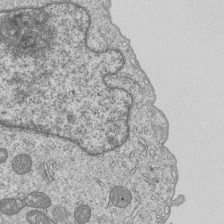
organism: Human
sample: MDA-MB-231 cells